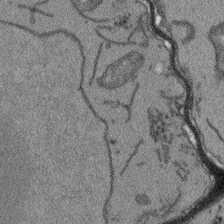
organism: Arabidopsis thaliana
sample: Root tip